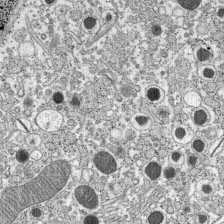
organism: C57BL Mouse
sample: Pancreatic islet